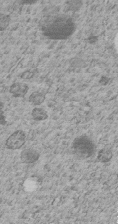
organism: C. elegans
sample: C. elegans embryo early stage